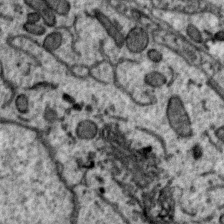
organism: Zebra finch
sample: Brain